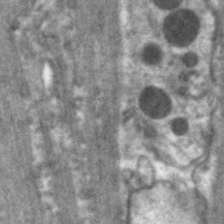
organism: C. elegans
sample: Pharynx